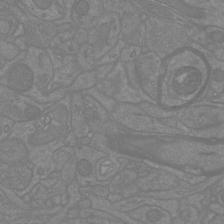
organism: Mouse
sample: Cortical neurons